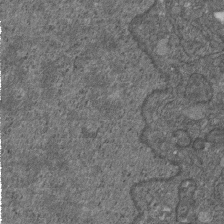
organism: Drosophila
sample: Nephrocyte